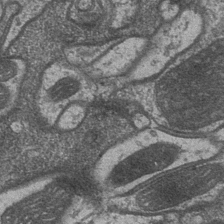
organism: Drosophila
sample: Optic medulla